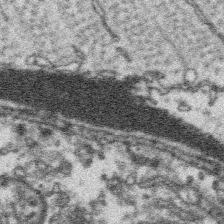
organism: Platynereis dumerilii